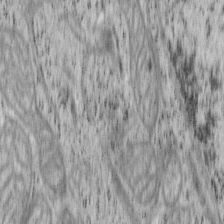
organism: Human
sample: HeLa cells